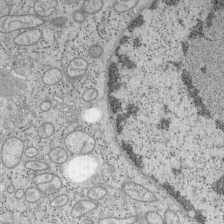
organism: Mouse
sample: OT-I killer T cells with ID8 ovarian cancer cells